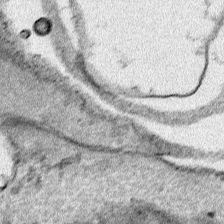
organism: Human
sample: Mitochondria in HCT116 cells